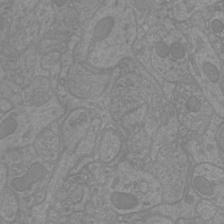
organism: Mouse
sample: Cortical neurons